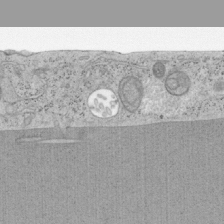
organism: Human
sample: HeLa cells